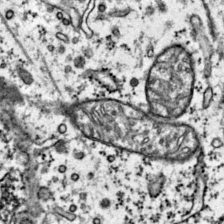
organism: Mouse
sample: Primary visual cortex